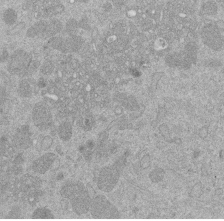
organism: Mouse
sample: Dividing mouse embryo 1 cell stage